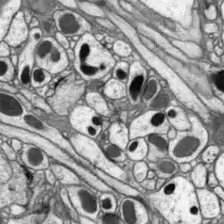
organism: Drosophila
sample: Optic lobe